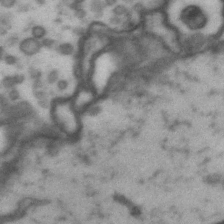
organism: Drosophila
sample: Brain